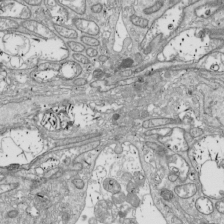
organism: Drosophila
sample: Cell division; meiosis; drosophila spermatocytes